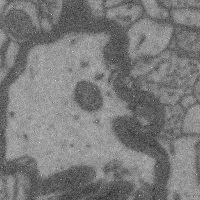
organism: Mouse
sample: Cerebral cortex